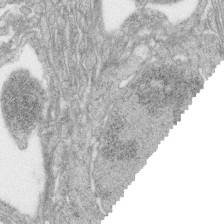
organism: Zebrafish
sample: synaptic ribbons in rod cells and cone cells